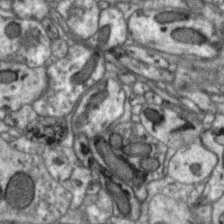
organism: Zebra finch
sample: Brain